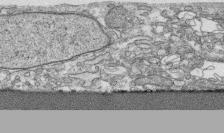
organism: Human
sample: CRL-1474